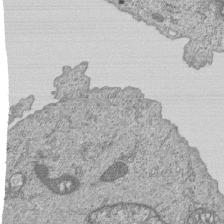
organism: Human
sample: MDA-MB-231 cells